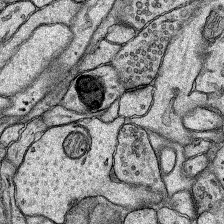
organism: Rat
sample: Hippocampus